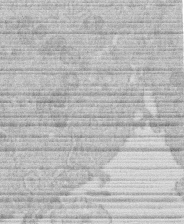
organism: Human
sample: Macrophage cells